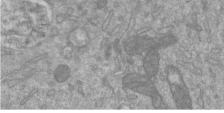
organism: Mouse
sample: ED-1 cell nuclei; centrioles